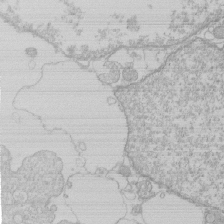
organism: Human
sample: Macrophage cells